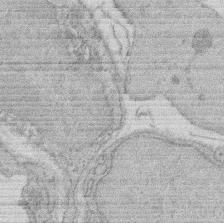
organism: Rat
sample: Salivary granule